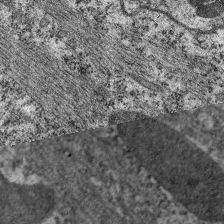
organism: C. elegans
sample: Pharynx